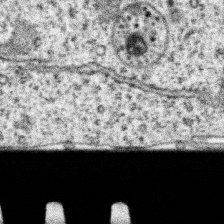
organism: Human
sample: HeLa cells